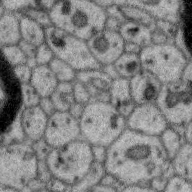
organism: Zebra finch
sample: Brain